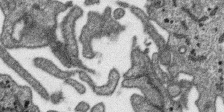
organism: Human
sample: Lung epithelial cells infected with SARS-CoV-2